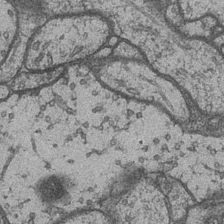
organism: Drosophila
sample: Optic medulla